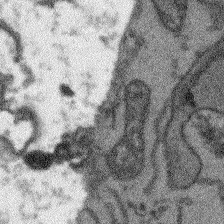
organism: Arabidopsis thaliana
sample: Root tip